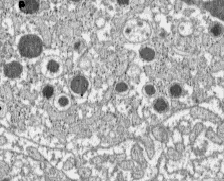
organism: C57BL Mouse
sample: Pancreatic islet